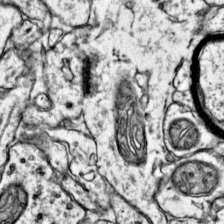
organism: Mouse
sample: Primary visual cortex